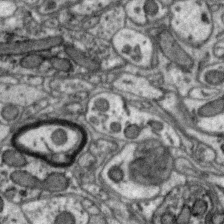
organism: Zebra finch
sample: Brain